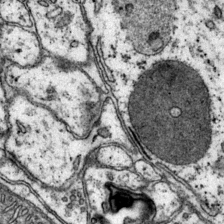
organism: Mouse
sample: Primary visual cortex